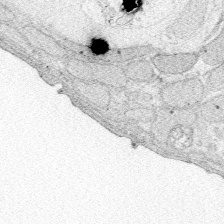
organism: Zebrafish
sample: Whole-Brain